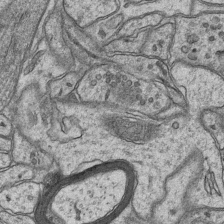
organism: Mouse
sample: CA1 Hippocampus